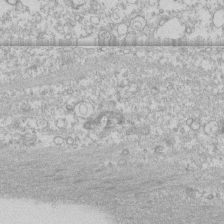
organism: Human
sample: CRL-1474